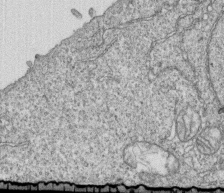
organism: Human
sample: HeLa cell HIV synapse